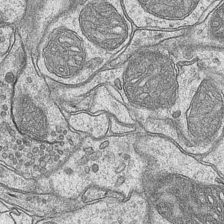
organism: Mouse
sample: CA1 Hippocampus